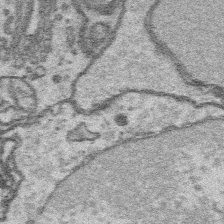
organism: Platynereis dumerilii